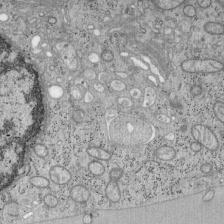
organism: Mouse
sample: OT-I killer T cells with ID8 ovarian cancer cells